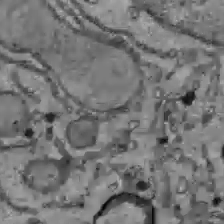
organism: C57BL Mouse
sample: Liver